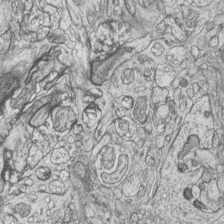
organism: Zebrafish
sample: synaptic ribbons in rod cells and cone cells